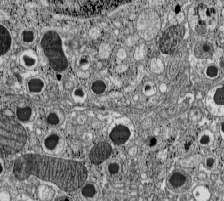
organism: C57BL Mouse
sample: Pancreatic islet